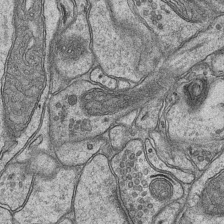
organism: Mouse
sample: CA1 Hippocampus